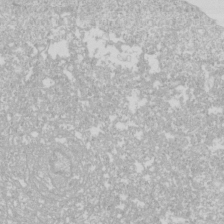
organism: Drosophila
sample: Cell division; meiosis; drosophila spermatocytes